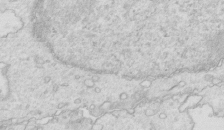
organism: Mouse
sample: Multiciliated cells